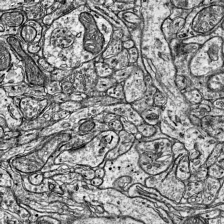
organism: Mouse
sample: Visual Cortex